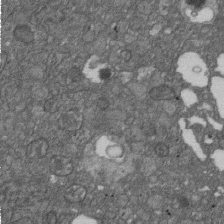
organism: Drosophila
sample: Nephrocyte